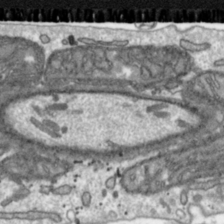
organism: Toxoplasma gondii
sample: Parasites in a vacuole inside a host cell